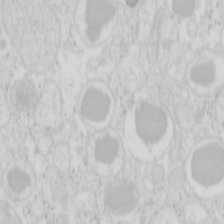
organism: Mouse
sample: Pancreas